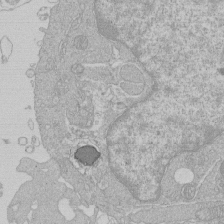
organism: Human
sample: Macrophage cells